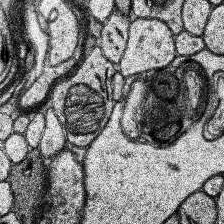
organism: Human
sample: Temporal Lobe